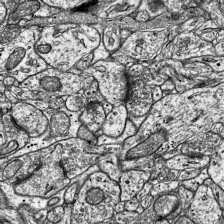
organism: Mouse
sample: Visual Cortex